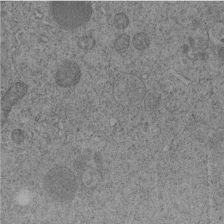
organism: C. elegans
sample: C. elegans embryo early stage